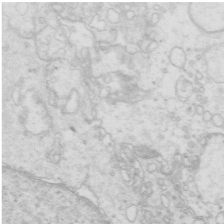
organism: Mouse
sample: Multiciliated cells